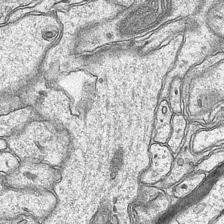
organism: Mouse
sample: CA1 Hippocampus